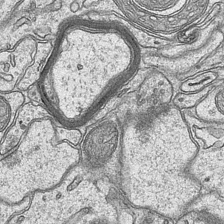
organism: Mouse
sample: CA1 Hippocampus